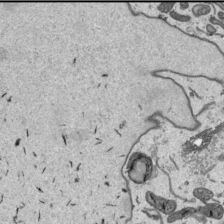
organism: Human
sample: Mitochondria in HCT116 cells